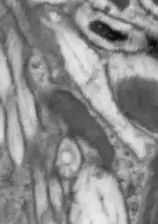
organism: Drosophila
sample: Optic lobe